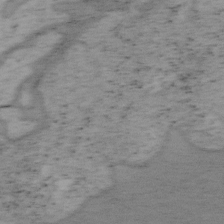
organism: Mouse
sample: OT-I killer T cells with ID8 ovarian cancer cells